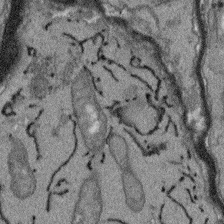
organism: Arabidopsis thaliana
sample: Root tip